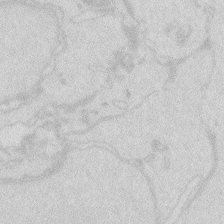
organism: Zebrafish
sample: Macrophage